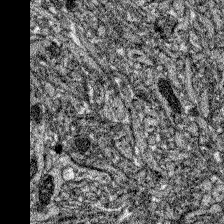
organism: Zebrafish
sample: Larval olfactory bulb